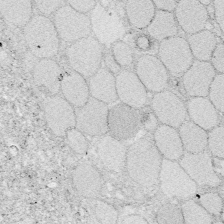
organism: Zebrafish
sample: Whole-Brain